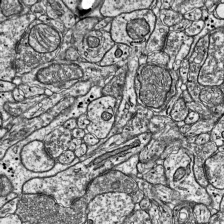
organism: Mouse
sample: Visual Cortex